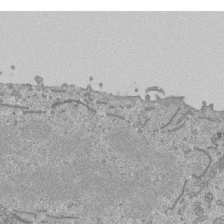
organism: Mouse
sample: ED-1 cell nuclei; centrioles